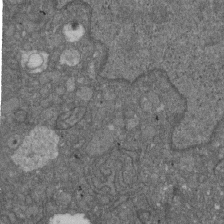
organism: Drosophila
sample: Nephrocyte